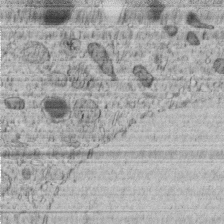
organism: C. elegans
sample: C. elegans embryo early stage